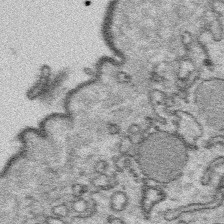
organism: Platynereis dumerilii